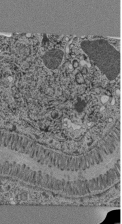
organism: C. elegans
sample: C. elegans pharynx